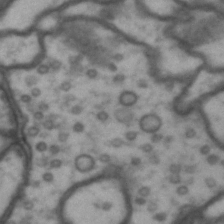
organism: Drosophila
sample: Brain